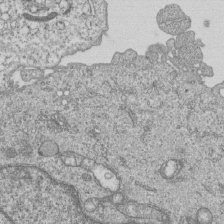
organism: Human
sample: MDA-MB-231 cells